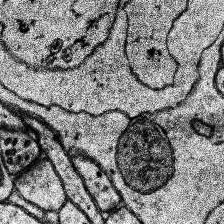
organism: Human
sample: Temporal Lobe